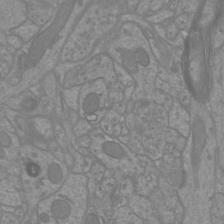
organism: Mouse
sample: Cortical neurons